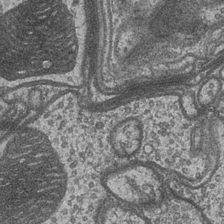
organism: Drosophila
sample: Optic medulla